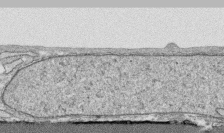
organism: Human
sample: CRL-1474